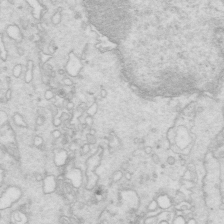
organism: Mouse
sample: Multiciliated cells